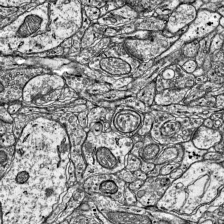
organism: Mouse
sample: Visual Cortex